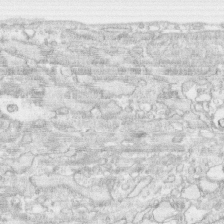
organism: Human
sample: CRL-1474